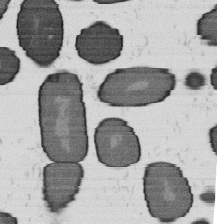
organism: B. subtilis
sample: Bacterial spore